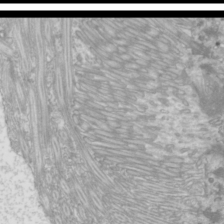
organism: Mouse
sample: Cilia; mouse epididymis